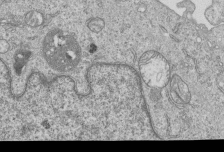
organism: Human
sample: MDA-MB-231 cells